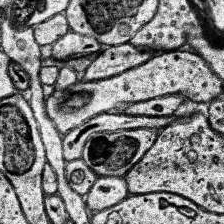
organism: Human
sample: Temporal Lobe